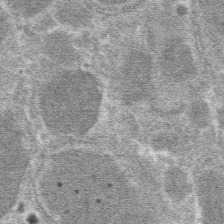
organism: Mouse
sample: Mouse hepatocytes